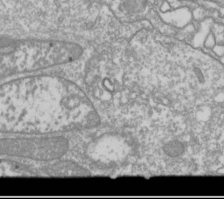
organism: Drosophila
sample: Cell division; meiosis; drosophila spermatocytes